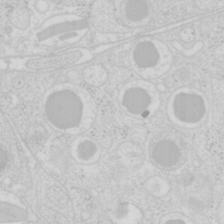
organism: Mouse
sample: Pancreas